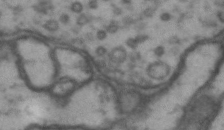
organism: Drosophila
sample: Brain